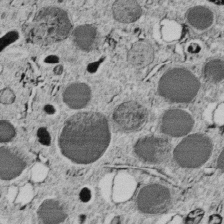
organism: C. elegans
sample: C. elegans embryo early stage